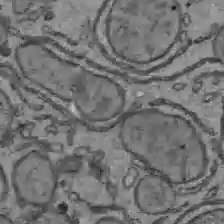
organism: C57BL Mouse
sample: Liver